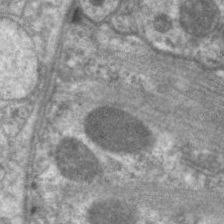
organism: C. elegans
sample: Pharynx